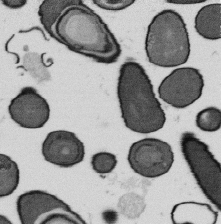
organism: B. subtilis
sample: Bacterial spore